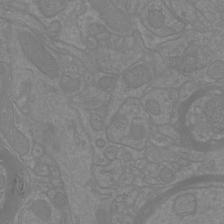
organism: Mouse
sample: Cortical neurons